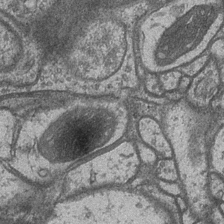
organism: Drosophila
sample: Optic medulla